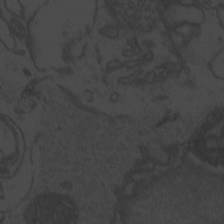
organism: Zebrafish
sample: Macrophage infected with Toxoplasma gondii